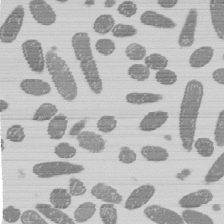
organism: E. coli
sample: Bacterial nucleoid